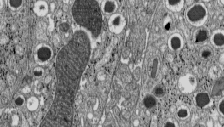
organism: C57BL Mouse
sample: Pancreatic islet